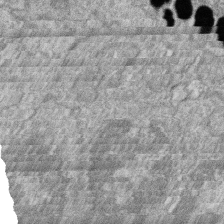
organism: Zebrafish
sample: Cilia; retinal pigment epithelium